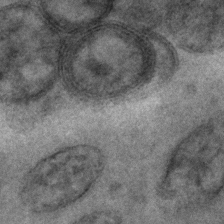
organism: C. elegans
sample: C. elegans embryo